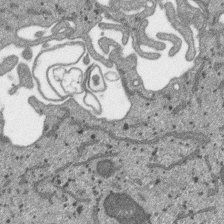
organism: Human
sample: Lung epithelial cells infected with SARS-CoV-2